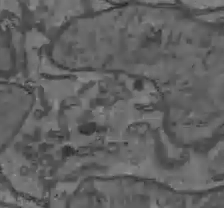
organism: C57BL Mouse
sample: Liver